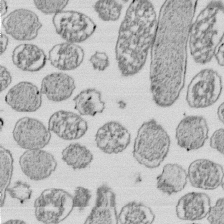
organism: E. coli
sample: Bacterial nucleoid